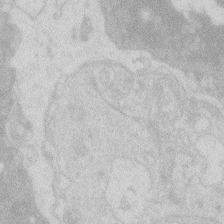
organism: Zebrafish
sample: Macrophage